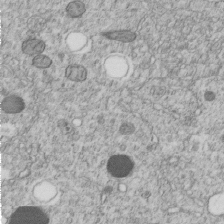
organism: C. elegans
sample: C. elegans embryo early stage